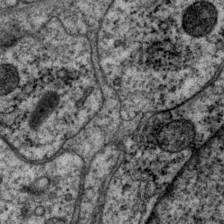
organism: P. pacificus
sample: Pharynx